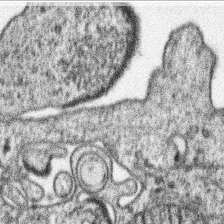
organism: Human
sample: HeLa cells